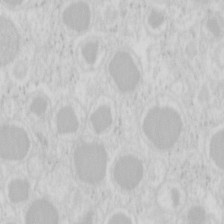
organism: Mouse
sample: Pancreas